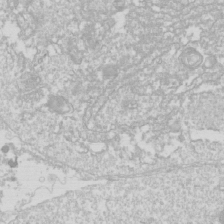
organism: Drosophila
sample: Cell division; meiosis; drosophila spermatocytes